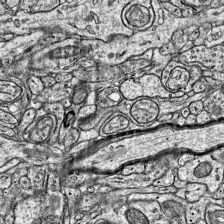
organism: Mouse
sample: Visual Cortex